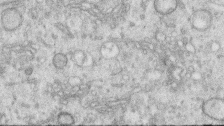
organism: Human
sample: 1205lu cells